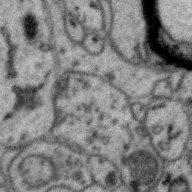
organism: Zebra finch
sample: Brain